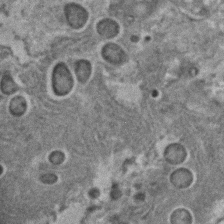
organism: C. elegans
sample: C. elegans embryo